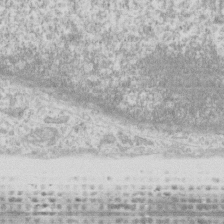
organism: Human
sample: Fibroblast cells